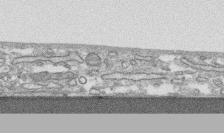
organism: Human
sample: CRL-1474